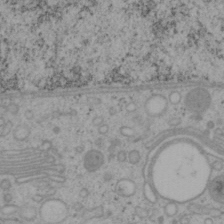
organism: Human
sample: HeLa cells